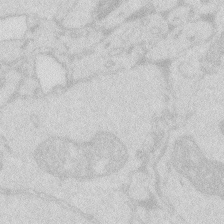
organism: Zebrafish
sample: Macrophage